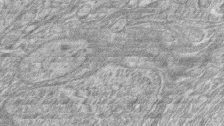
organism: Zebrafish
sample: synaptic ribbons in rod cells and cone cells